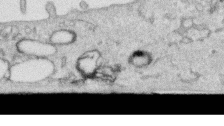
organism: Human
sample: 1205lu cells